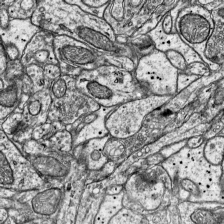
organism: Mouse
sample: Visual Cortex